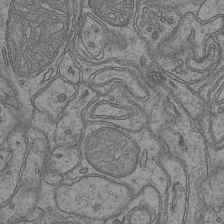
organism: Mouse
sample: CA1 Hippocampus